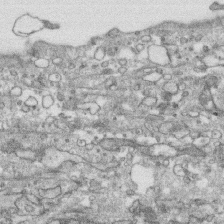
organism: Human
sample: CRL-1474